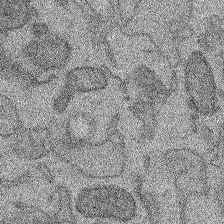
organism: Human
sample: HeLa cells